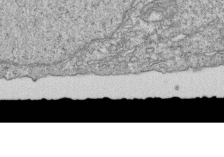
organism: Human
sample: HeLa cell HIV synapse